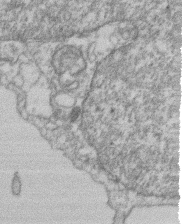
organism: Mouse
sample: T cell stromal cell synapse